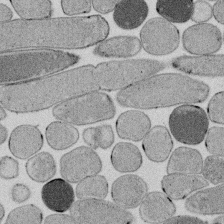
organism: E. coli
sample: Bacterial nucleoid